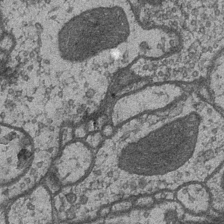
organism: Drosophila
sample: Optic medulla